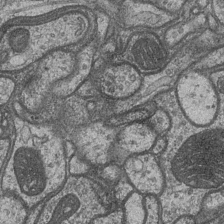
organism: Drosophila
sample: Optic medulla